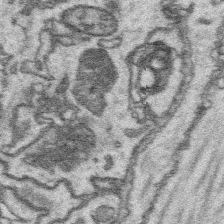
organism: Platynereis dumerilii